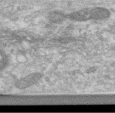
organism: Human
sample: Centriole in RPE cells